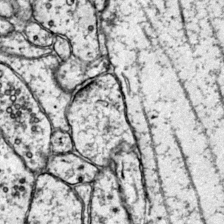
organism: Mouse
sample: Primary visual cortex